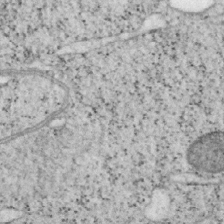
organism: Mouse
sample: OT-I killer T cells with ID8 ovarian cancer cells